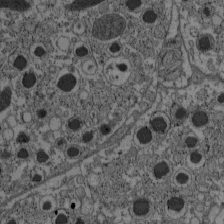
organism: C57BL Mouse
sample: Pancreatic islet